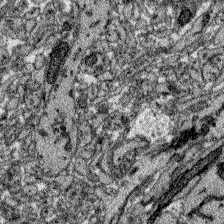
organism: Zebrafish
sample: Larval olfactory bulb